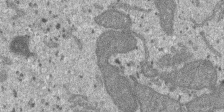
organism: Human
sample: Lung epithelial cells infected with SARS-CoV-2